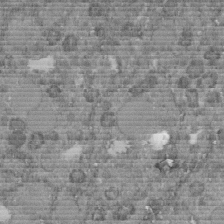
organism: C. elegans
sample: C. elegans embryo early stage